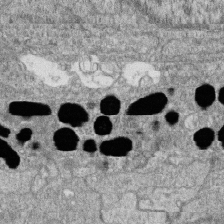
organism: Zebrafish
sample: Cilia; retinal pigment epithelium